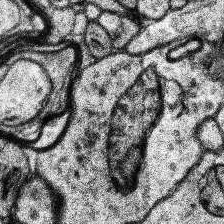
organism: Human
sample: Temporal Lobe